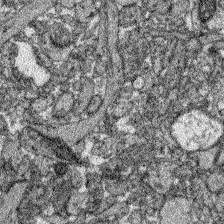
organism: Zebrafish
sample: Larval olfactory bulb